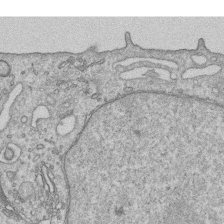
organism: Human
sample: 1205lu cells